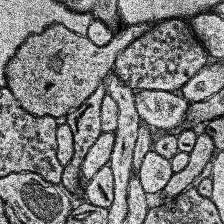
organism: Human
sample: Temporal Lobe